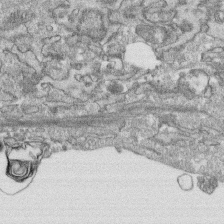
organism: Human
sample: CRL-1474